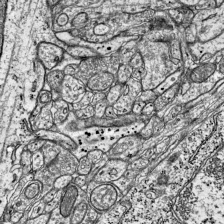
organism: Mouse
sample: Visual Cortex